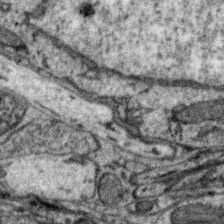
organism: Zebra finch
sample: Brain